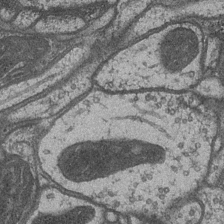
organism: Drosophila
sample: Optic medulla